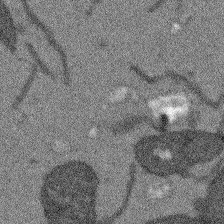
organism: Arabidopsis thaliana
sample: Root tip